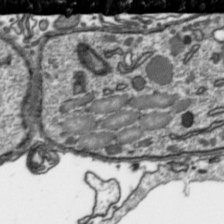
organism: Toxoplasma gondii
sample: Parasites in a vacuole inside a host cell